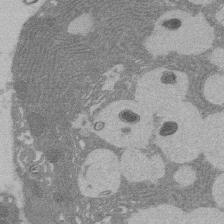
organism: Rat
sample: Salivary granule